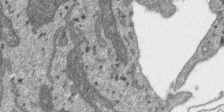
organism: Human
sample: Lung epithelial cells infected with SARS-CoV-2